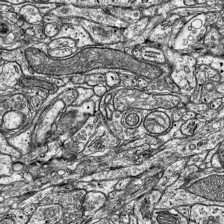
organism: Mouse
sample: Visual Cortex